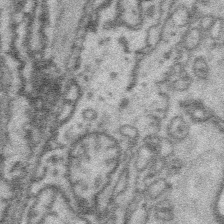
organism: Platynereis dumerilii